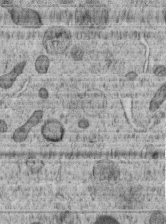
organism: C. elegans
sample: C. elegans embryo early stage